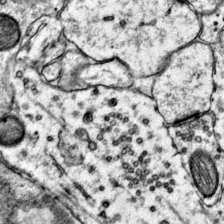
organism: Mouse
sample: Primary visual cortex